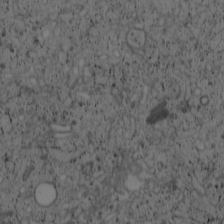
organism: African green monkey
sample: COS-7 cells